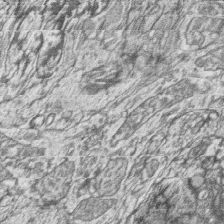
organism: Zebrafish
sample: synaptic ribbons in rod cells and cone cells